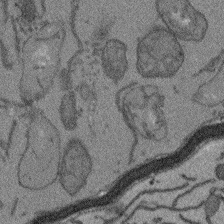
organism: Arabidopsis thaliana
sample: Root tip